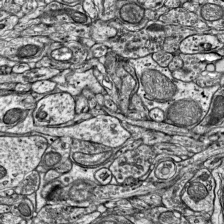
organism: Mouse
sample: Visual Cortex